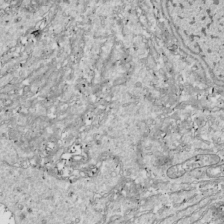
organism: Drosophila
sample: Cell division; meiosis; drosophila spermatocytes